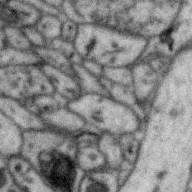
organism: Zebra finch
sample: Brain